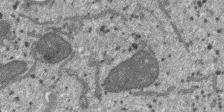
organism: Human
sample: Lung epithelial cells infected with SARS-CoV-2